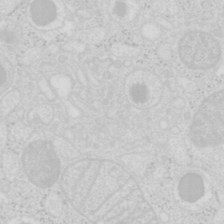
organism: Mouse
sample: Pancreas